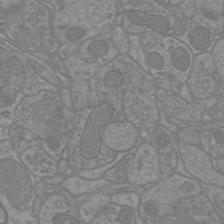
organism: Mouse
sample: Cortical neurons